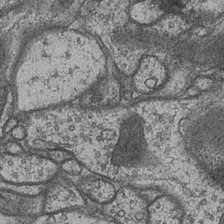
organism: Drosophila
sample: Optic medulla